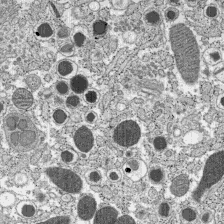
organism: C57BL Mouse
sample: Pancreatic islet